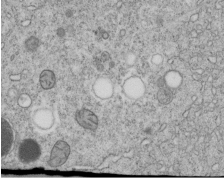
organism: C. elegans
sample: C. elegans embryo early stage